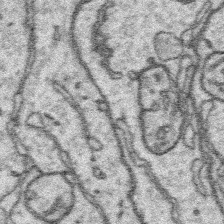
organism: Platynereis dumerilii